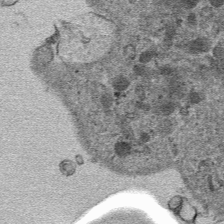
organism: Mouse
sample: Mouse hepatocytes